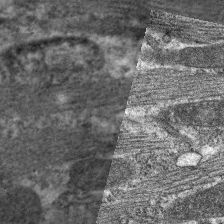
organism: C. elegans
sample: Pharynx